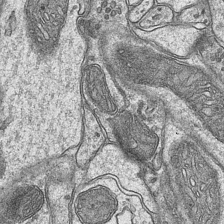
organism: Mouse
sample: CA1 Hippocampus